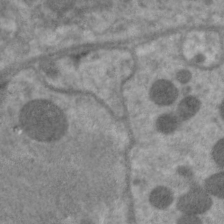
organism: C. elegans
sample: Pharynx